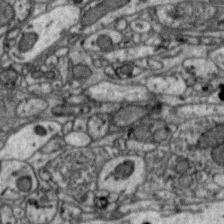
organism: Zebra finch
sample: Brain